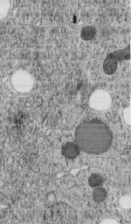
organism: C. elegans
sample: C. elegans embryo early stage